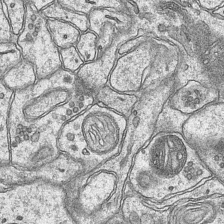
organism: Mouse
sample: CA1 Hippocampus